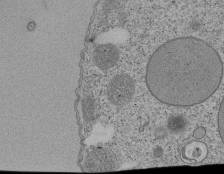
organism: Tetrahymena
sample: Cilia in tetrahymena